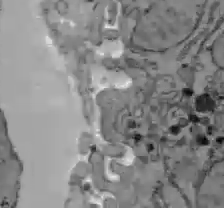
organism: C57BL Mouse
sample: Liver